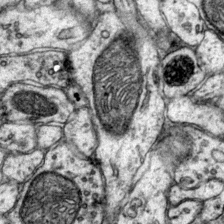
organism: Mouse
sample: Primary visual cortex